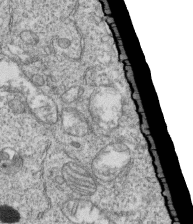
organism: Human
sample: HeLa cell HIV synapse